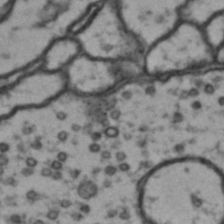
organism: Drosophila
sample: Brain